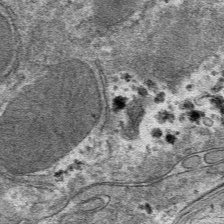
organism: Mouse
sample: Mouse hepatocytes